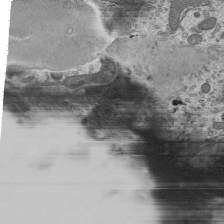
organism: Mouse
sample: Mouse epididymis efferent ductule cilia